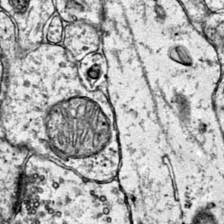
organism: Mouse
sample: Primary visual cortex